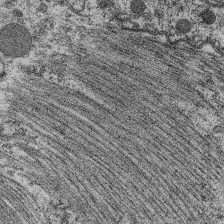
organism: C. elegans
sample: Pharynx